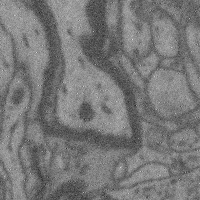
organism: Mouse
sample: Cerebral cortex